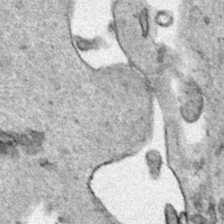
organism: Human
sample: Mitochondria in HCT116 cells